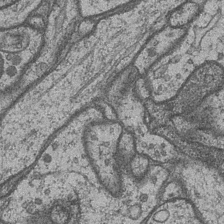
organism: Drosophila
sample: Optic medulla